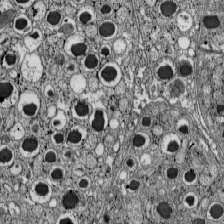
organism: C57BL Mouse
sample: Pancreatic islet